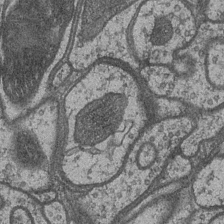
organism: Drosophila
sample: Optic medulla